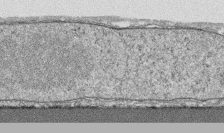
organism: Human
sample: CRL-1474